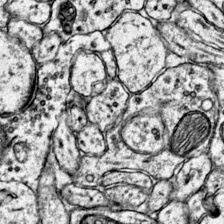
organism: Mouse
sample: Primary visual cortex